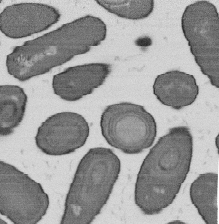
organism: B. subtilis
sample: Bacterial spore